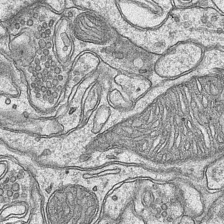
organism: Mouse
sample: CA1 Hippocampus